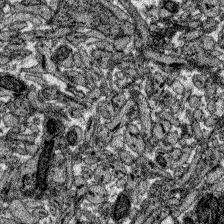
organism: Zebrafish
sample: Larval olfactory bulb